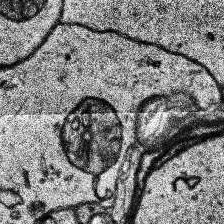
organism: Human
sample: Temporal Lobe